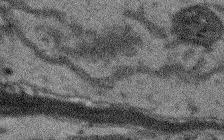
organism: Arabidopsis thaliana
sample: Root tip